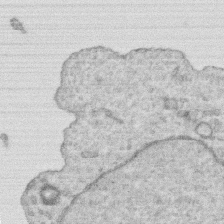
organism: Human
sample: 1205lu cells